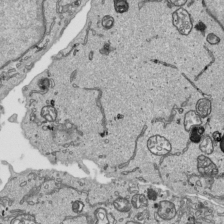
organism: Human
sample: Mitochondria in HCT116 cells